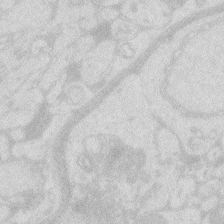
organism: Zebrafish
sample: Macrophage